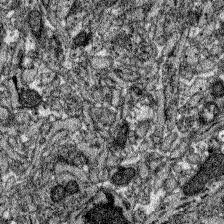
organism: Zebrafish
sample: Larval olfactory bulb